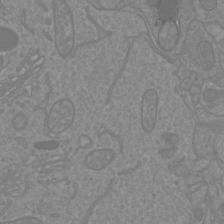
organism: Mouse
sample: Cortical neurons